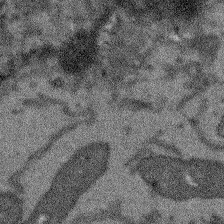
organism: Arabidopsis thaliana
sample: Root tip